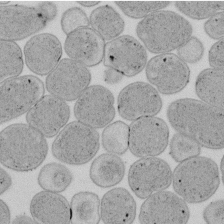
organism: E. coli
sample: Bacterial nucleoid